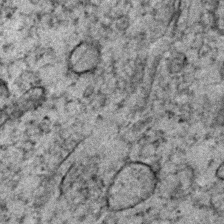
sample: Trachea